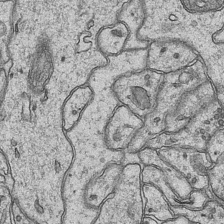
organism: Mouse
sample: CA1 Hippocampus